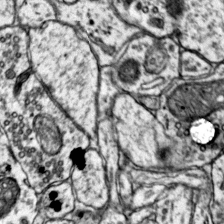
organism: Mouse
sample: Primary visual cortex